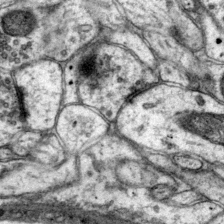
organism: Mouse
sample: Primary visual cortex